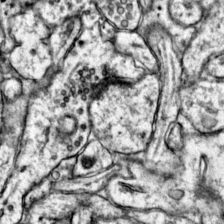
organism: Mouse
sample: Primary visual cortex